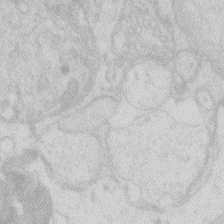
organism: Zebrafish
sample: Macrophage